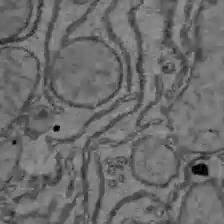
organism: C57BL Mouse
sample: Liver